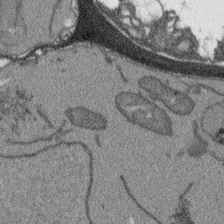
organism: Arabidopsis thaliana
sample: Root tip